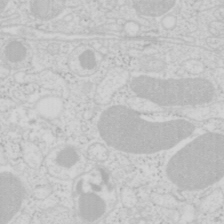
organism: Mouse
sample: Pancreas